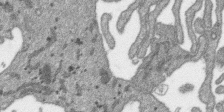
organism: Human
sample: Lung epithelial cells infected with SARS-CoV-2